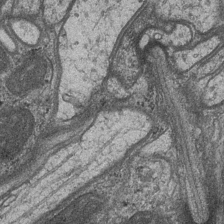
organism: Drosophila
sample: Optic medulla